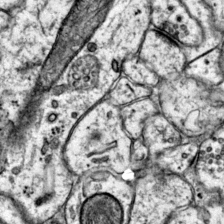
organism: Mouse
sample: Primary visual cortex